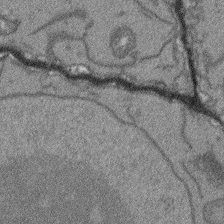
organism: Arabidopsis thaliana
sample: Root tip